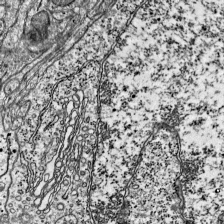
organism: Mouse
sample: Visual Cortex